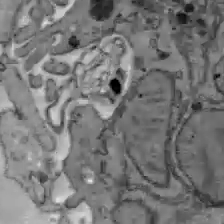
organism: C57BL Mouse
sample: Liver